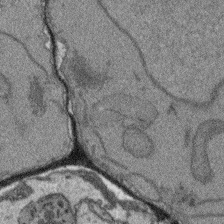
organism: Arabidopsis thaliana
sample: Root tip